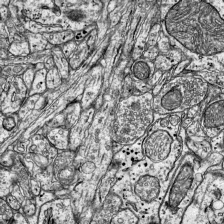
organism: Mouse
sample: Visual Cortex